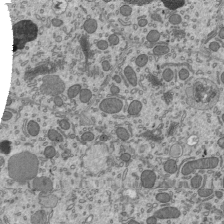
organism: Mouse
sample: Mouse epididymis efferent ductule cilia